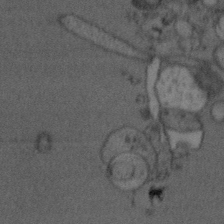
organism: Human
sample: HeLa cells